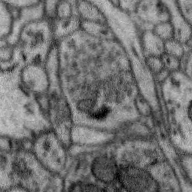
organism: Zebra finch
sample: Brain